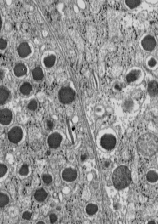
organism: C57BL Mouse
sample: Pancreatic islet